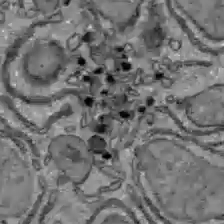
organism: C57BL Mouse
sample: Liver